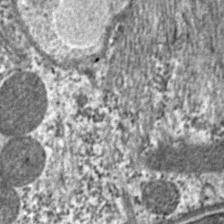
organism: C. elegans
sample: Pharynx